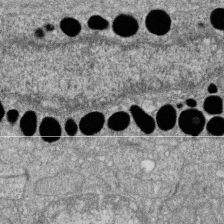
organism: Zebrafish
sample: Cilia; retinal pigment epithelium